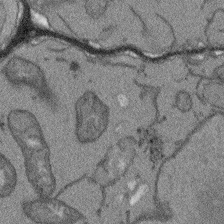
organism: Arabidopsis thaliana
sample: Root tip